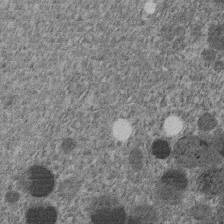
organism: C. elegans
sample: C. elegans embryo early stage